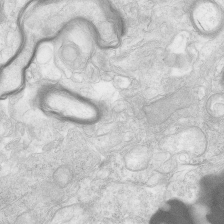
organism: Human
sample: Neocortex